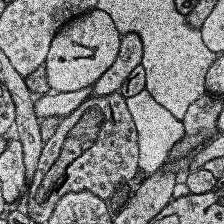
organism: Human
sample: Temporal Lobe